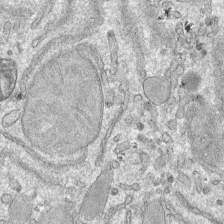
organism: Mouse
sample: Mouse hepatocytes